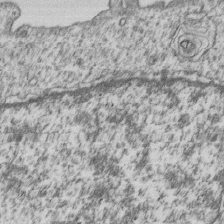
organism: Human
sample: MDA-MB-231 cells